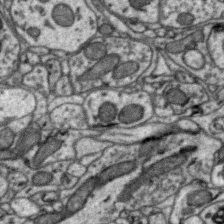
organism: Zebra finch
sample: Brain